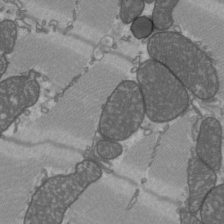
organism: C57BL Mouse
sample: Heart